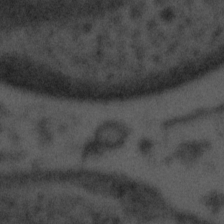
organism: Tuwongella immobilis